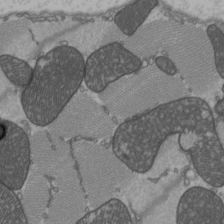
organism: C57BL Mouse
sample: Heart